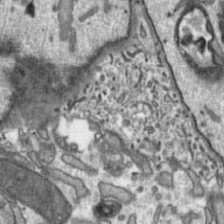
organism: Toxoplasma gondii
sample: Parasites in a vacuole inside a host cell